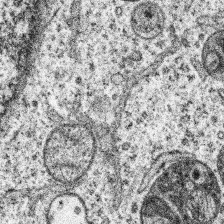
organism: Human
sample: HeLa cells